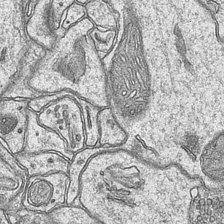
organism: Mouse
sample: CA1 Hippocampus